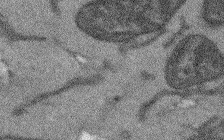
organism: Arabidopsis thaliana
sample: Root tip